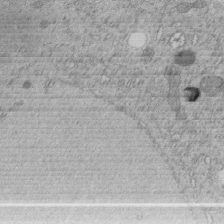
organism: C. elegans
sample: C. elegans embryo early stage